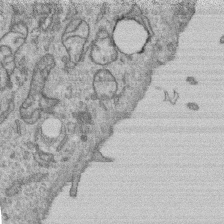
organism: Human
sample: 1205lu cells